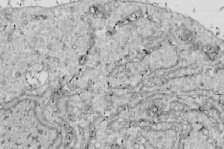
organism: Drosophila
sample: Cell division; meiosis; drosophila spermatocytes